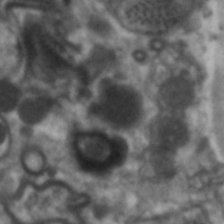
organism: C. elegans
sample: Pharynx